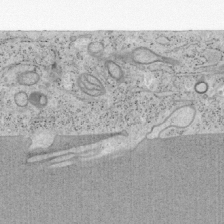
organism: Human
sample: HeLa cells